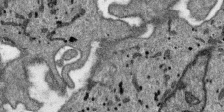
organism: Human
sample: Lung epithelial cells, uninfected (mock) control